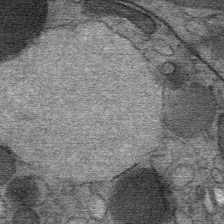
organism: Mouse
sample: Mouse Salivary gland